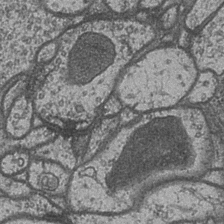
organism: Drosophila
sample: Optic medulla